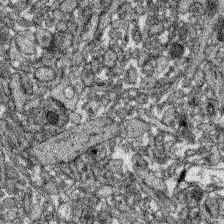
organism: Zebrafish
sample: Larval olfactory bulb